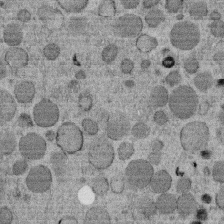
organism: C. elegans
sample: C. elegans embryo early stage